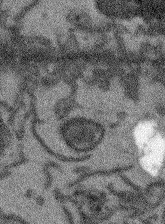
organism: Arabidopsis thaliana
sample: Root tip